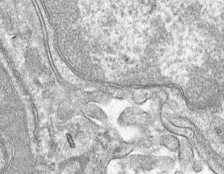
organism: Mouse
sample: Mouse hepatocytes